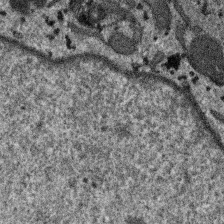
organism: Human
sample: Lung epithelial cells infected with SARS-CoV-2